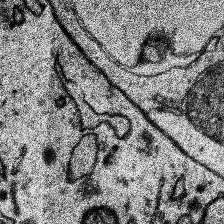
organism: Human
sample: Temporal Lobe